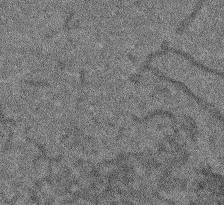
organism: Arabidopsis thaliana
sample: Root tip